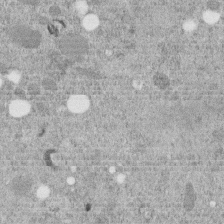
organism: C. elegans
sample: C. elegans embryo early stage